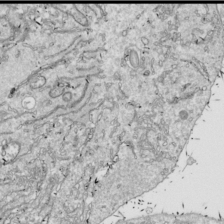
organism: Drosophila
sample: Cell division; meiosis; drosophila spermatocytes